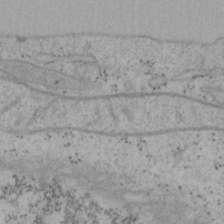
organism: Human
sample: HeLa cells